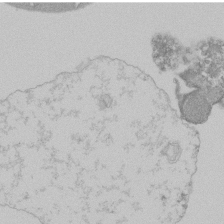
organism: Mouse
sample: Activated Pmel transgenic CD8+ T Cells